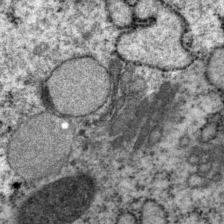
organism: P. pacificus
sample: Pharynx